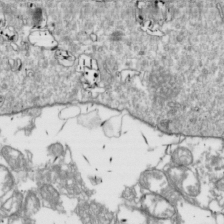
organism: Drosophila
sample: Cell division; meiosis; drosophila spermatocytes